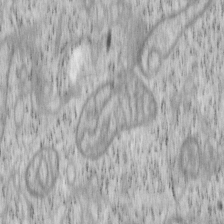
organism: Human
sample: HeLa cells